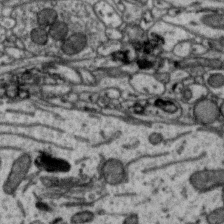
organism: Zebra finch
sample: Brain